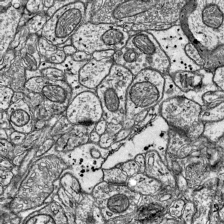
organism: Mouse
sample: Visual Cortex